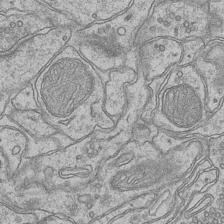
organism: Mouse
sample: CA1 Hippocampus